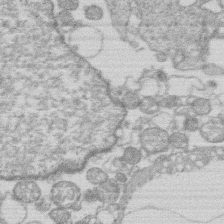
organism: Human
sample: Macrophage cells